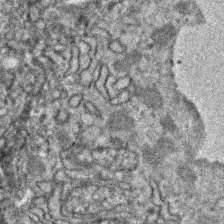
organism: Zebrafish